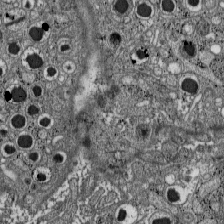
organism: C57BL Mouse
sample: Pancreatic islet